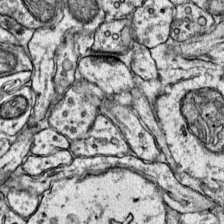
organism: Mouse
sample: Primary visual cortex